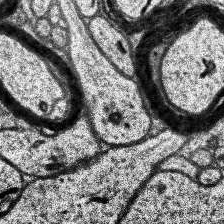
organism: Human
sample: Temporal Lobe